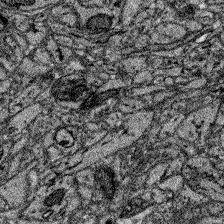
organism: Zebrafish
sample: Larval olfactory bulb